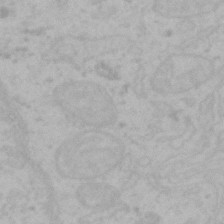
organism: Mouse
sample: Choroid plexus